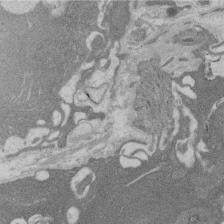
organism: Rat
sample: Salivary granule